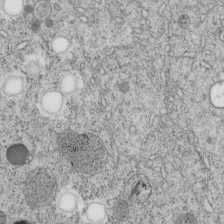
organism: C. elegans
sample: C. elegans embryo early stage